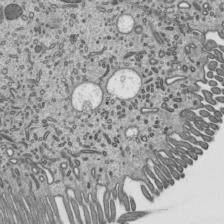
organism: Mouse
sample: Mouse epididymis efferent ductule cilia